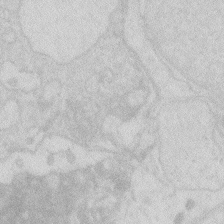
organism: Zebrafish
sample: Macrophage